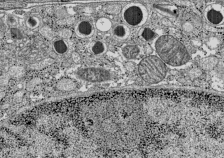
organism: C57BL Mouse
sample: Pancreatic islet